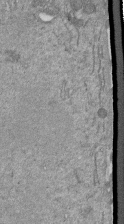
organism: Mouse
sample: ED-1 cell nuclei; centrioles